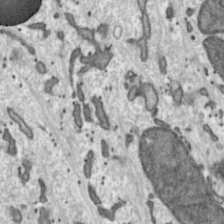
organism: Toxoplasma gondii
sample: Parasites in a vacuole inside a host cell